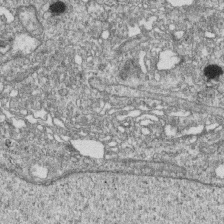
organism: Human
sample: HeLa cell HIV synapse